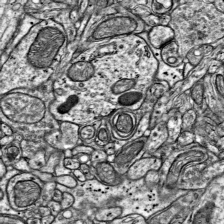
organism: Mouse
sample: Visual Cortex